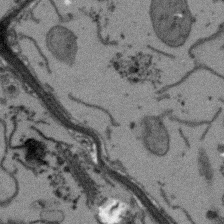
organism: Arabidopsis thaliana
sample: Root tip